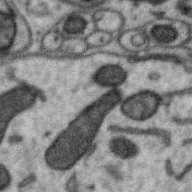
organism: Zebra finch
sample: Brain